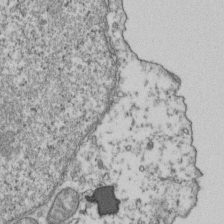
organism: Human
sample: Activated Jurkat CD4+ T cells